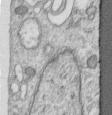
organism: Human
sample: Centriole in RPE cells